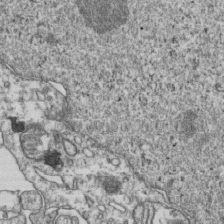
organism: Human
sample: Activated Jurkat CD4+ T cells